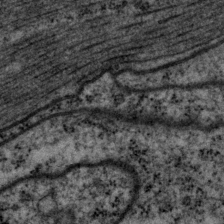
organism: P. pacificus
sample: Pharynx